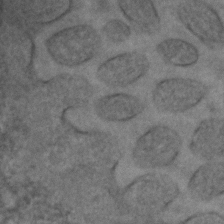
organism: C. elegans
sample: C. elegans embryo